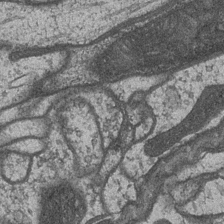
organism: Drosophila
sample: Optic medulla